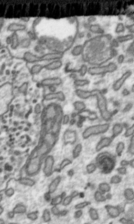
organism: Toxoplasma gondii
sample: Parasites in a vacuole inside a host cell